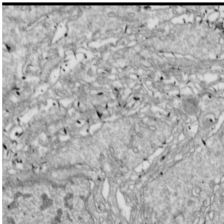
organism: Drosophila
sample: Cell division; meiosis; drosophila spermatocytes